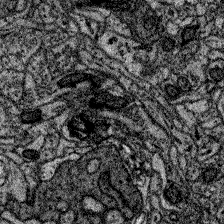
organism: Zebrafish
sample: Larval olfactory bulb